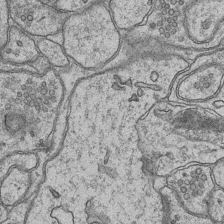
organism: Mouse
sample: CA1 Hippocampus